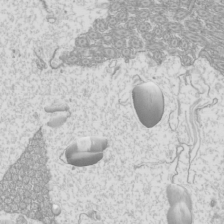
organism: Mouse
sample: Cilia; mouse epididymis